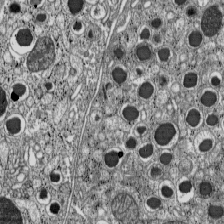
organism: C57BL Mouse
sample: Pancreatic islet